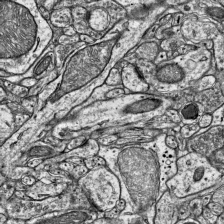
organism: Mouse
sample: Visual Cortex